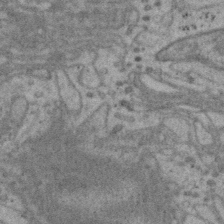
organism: Human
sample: HeLa cells